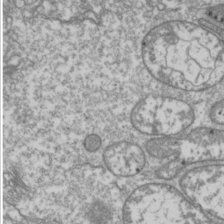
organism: Drosophila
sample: Cell division; meiosis; drosophila spermatocytes